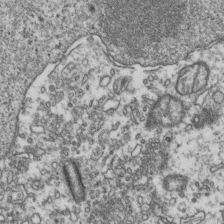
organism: Human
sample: Activated Jurkat CD4+ T cells